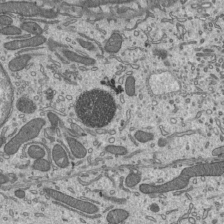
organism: Mouse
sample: Mouse epididymis efferent ductule cilia